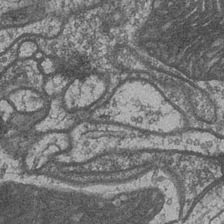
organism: Drosophila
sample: Optic medulla